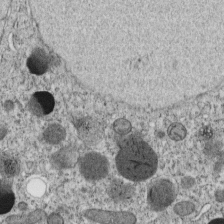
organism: C. elegans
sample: C. elegans embryo early stage